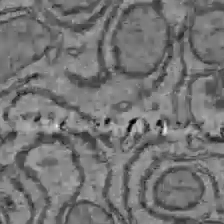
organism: C57BL Mouse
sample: Liver